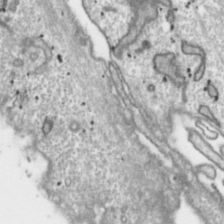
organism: Toxoplasma gondii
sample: Parasites in a vacuole inside a host cell